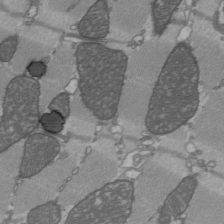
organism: C57BL Mouse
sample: Heart